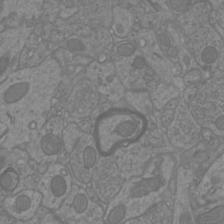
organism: Mouse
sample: Cortical neurons